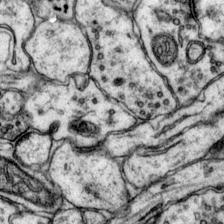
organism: Mouse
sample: Primary visual cortex